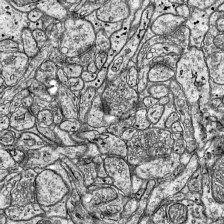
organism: Mouse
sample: Visual Cortex